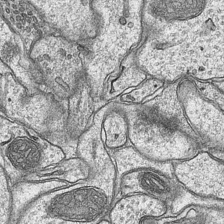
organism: Mouse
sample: CA1 Hippocampus